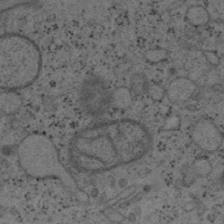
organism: Human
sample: HeLa cells